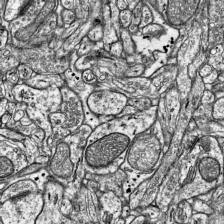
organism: Mouse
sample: Visual Cortex